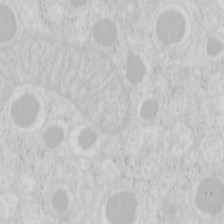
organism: Mouse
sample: Pancreas